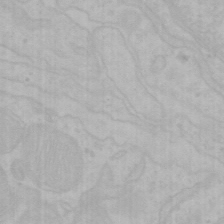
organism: Mouse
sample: Choroid plexus